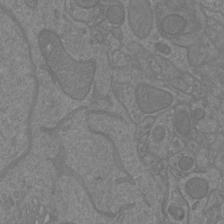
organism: Mouse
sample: Cortical neurons